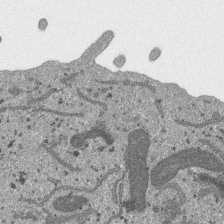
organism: Human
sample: Lung epithelial cells infected with SARS-CoV-2